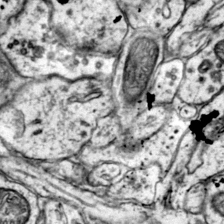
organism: Mouse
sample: Primary visual cortex